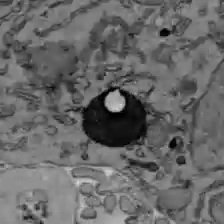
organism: C57BL Mouse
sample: Liver